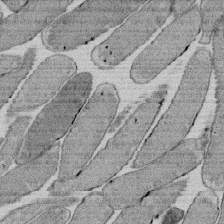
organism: E. coli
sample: Bacterial nucleoid